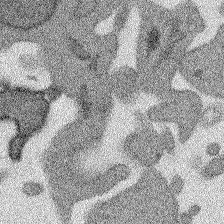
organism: Human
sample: HeLa cells